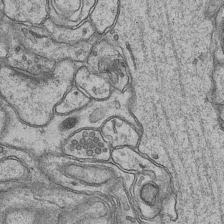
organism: Mouse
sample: CA1 Hippocampus